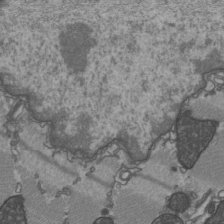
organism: C57BL Mouse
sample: Heart